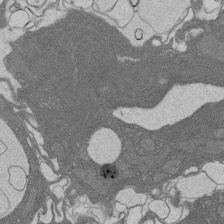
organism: Rat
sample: Salivary granule